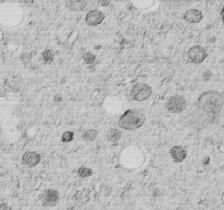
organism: C. elegans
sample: C. elegans embryo early stage